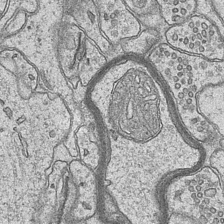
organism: Mouse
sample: CA1 Hippocampus